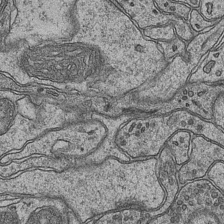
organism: Mouse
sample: CA1 Hippocampus